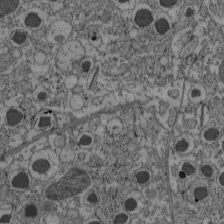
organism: C57BL Mouse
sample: Pancreatic islet